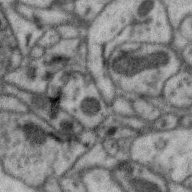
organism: Zebra finch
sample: Brain